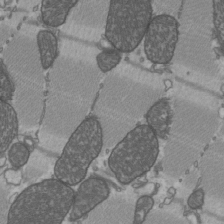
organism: C57BL Mouse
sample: Heart